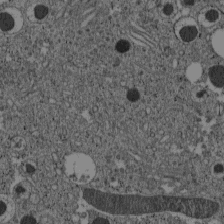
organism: C57BL Mouse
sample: Pancreatic islet